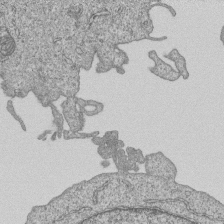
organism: Human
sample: MDA-MB-231 cells